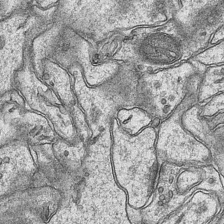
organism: Mouse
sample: CA1 Hippocampus